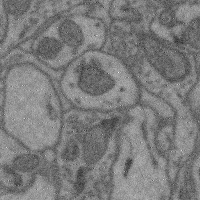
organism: Mouse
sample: Cerebral cortex